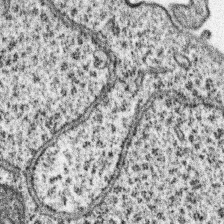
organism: Human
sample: HeLa cells